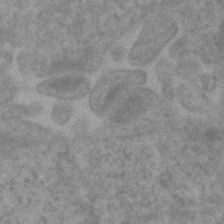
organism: Human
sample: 1205lu cells